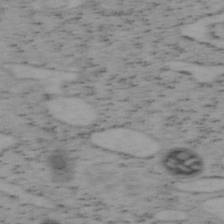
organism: Mouse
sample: OT-I killer T cells with ID8 ovarian cancer cells